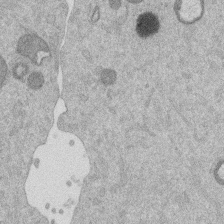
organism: Mouse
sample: Dividing mouse embryo 1 cell stage